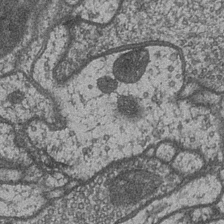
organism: Drosophila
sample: Optic medulla